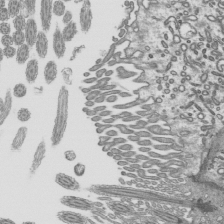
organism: Mouse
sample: Mouse epididymis efferent ductule cilia